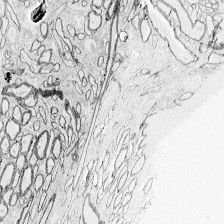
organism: Zebrafish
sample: Whole-Brain